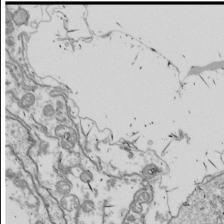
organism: Drosophila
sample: Cell division; meiosis; drosophila spermatocytes